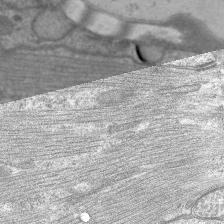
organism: C. elegans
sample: Pharynx